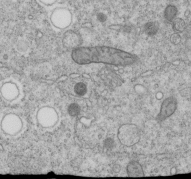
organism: C. elegans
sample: C. elegans embryo early stage